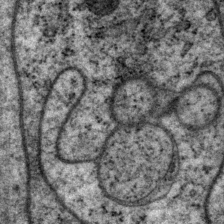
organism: P. pacificus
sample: Pharynx